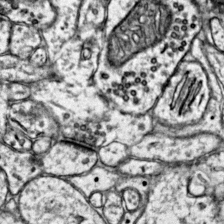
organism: Mouse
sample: Primary visual cortex